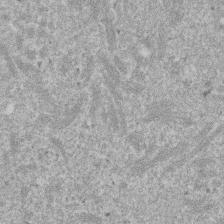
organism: Mouse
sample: Dividing mouse embryo 1 cell stage